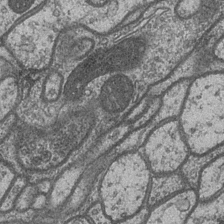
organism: Drosophila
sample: Optic medulla